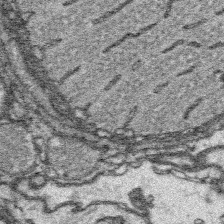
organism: Platynereis dumerilii